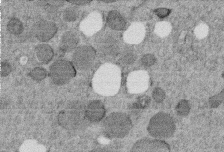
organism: C. elegans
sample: C. elegans embryo early stage